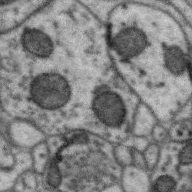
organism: Zebra finch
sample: Brain